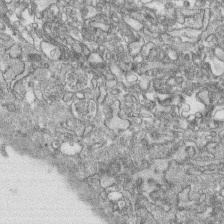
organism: Human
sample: CRL-1474